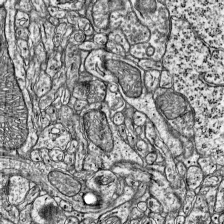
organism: Mouse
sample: Visual Cortex